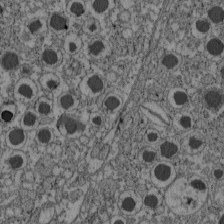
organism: C57BL Mouse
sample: Pancreatic islet